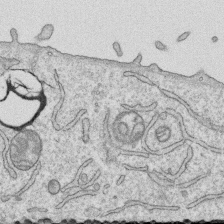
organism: Human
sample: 1205lu cells